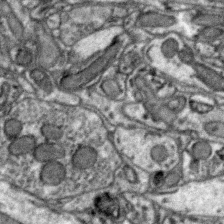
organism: Zebra finch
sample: Brain